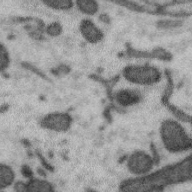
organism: Zebra finch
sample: Brain